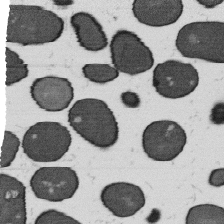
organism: B. subtilis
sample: Bacterial spore